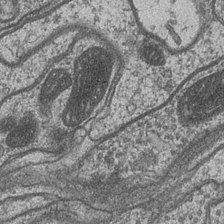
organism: Drosophila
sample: Optic medulla